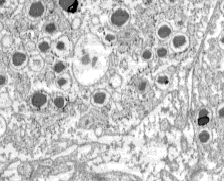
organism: C57BL Mouse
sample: Pancreatic islet